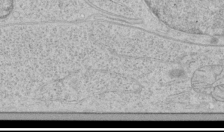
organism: Human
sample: Mitochondria in HCT116 cells